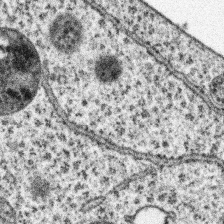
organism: Human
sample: HeLa cells